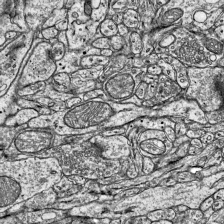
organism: Mouse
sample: Visual Cortex